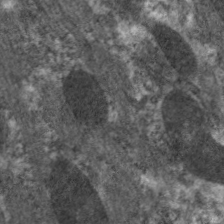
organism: C. elegans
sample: Pharynx